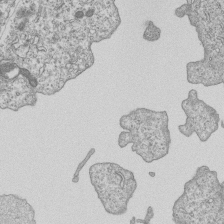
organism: Human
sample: MDA-MB-231 cells